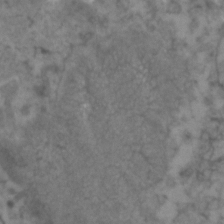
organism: Human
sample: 1205lu cells